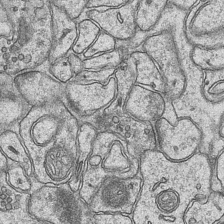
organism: Mouse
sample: CA1 Hippocampus